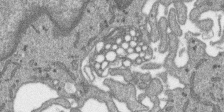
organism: Human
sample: Lung epithelial cells infected with SARS-CoV-2